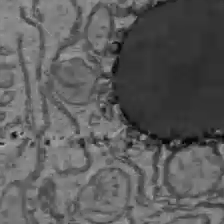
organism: C57BL Mouse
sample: Liver